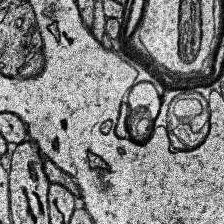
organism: Human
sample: Temporal Lobe